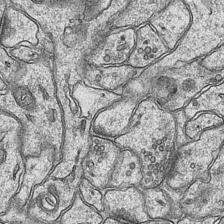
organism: Mouse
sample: CA1 Hippocampus